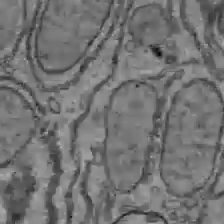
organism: C57BL Mouse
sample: Liver